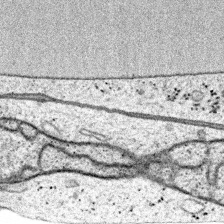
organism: Human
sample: HeLa cells